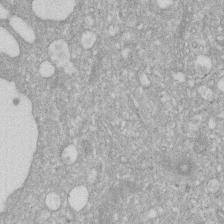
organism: Human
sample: HIV infected U937 cells